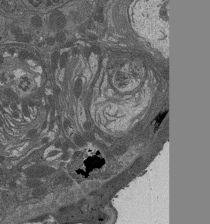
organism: Drosophila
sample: Antenna